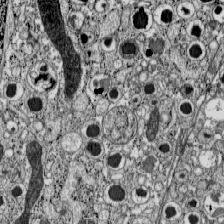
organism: C57BL Mouse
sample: Pancreatic islet